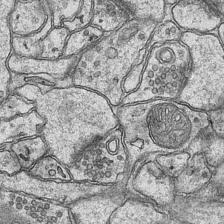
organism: Mouse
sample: CA1 Hippocampus